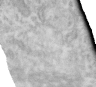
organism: Human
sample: Centriole in RPE cells